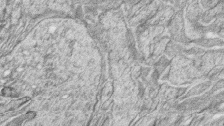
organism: Zebrafish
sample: synaptic ribbons in rod cells and cone cells